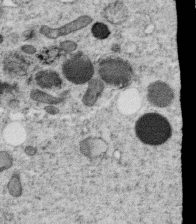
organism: C. elegans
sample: C. elegans oocyte; sperm cells